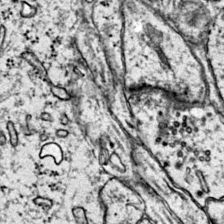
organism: Mouse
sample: Primary visual cortex